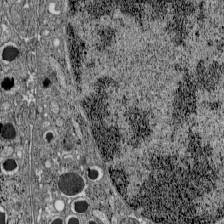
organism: C57BL Mouse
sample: Pancreatic islet